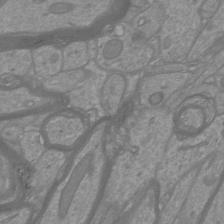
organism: Mouse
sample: Cortical neurons